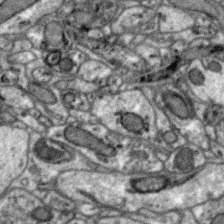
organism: Zebra finch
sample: Brain